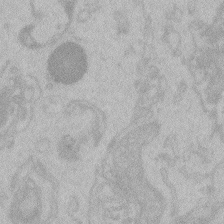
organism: Zebrafish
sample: Macrophage infected with Toxoplasma gondii